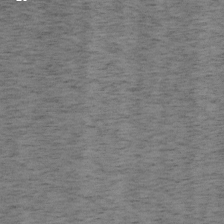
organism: Mouse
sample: OT-I killer T cells with ID8 ovarian cancer cells